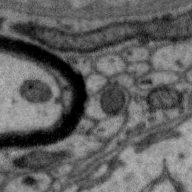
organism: Zebra finch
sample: Brain